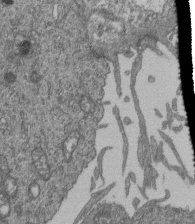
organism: Human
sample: Retinal organoid Rod and Cone cells